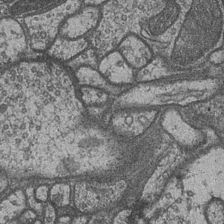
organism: Drosophila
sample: Optic medulla